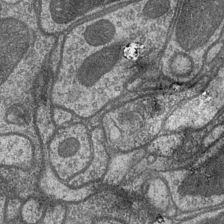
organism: Drosophila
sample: Optic medulla